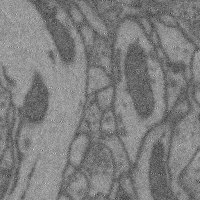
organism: Mouse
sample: Cerebral cortex